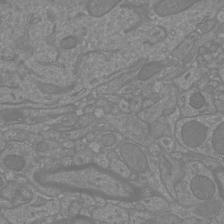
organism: Mouse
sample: Cortical neurons